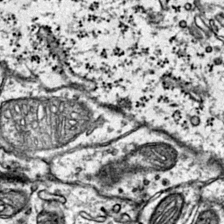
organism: Mouse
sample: Primary visual cortex